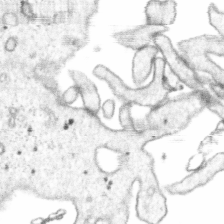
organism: Human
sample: HeLa cells